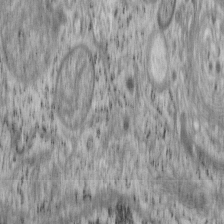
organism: Human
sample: HeLa cells